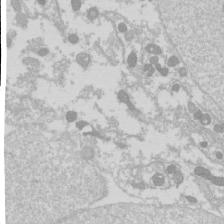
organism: Drosophila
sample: Cell division; meiosis; drosophila spermatocytes